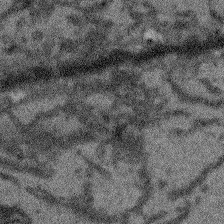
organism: Arabidopsis thaliana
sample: Root tip